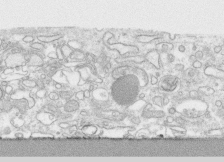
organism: Human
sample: CRL-1474